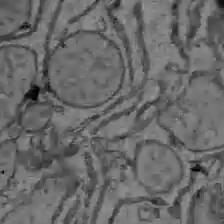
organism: C57BL Mouse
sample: Liver